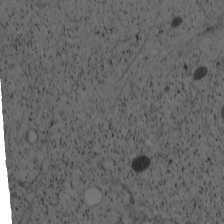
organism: African green monkey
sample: COS-7 cells